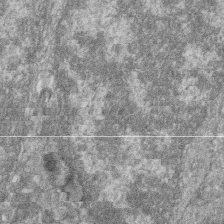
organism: Zebrafish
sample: Cilia; retinal pigment epithelium